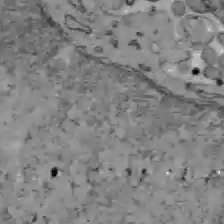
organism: C57BL Mouse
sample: Liver